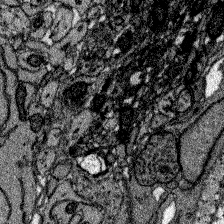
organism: Zebrafish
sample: Larval olfactory bulb